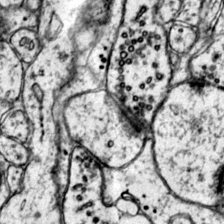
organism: Mouse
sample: Primary visual cortex